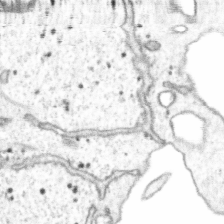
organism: Human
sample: HeLa cells